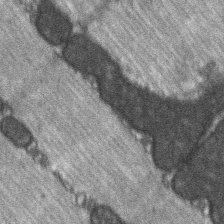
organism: C57BL Mouse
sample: Soleus